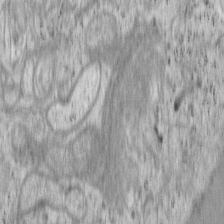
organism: Human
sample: HeLa cells